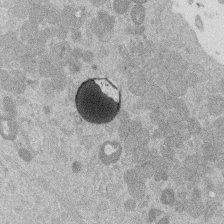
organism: Mouse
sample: Dividing mouse embryo 1 cell stage